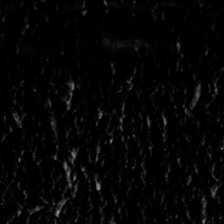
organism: Toxoplasma gondii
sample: Parasites in a vacuole inside a host cell